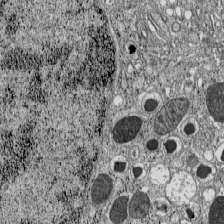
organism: C57BL Mouse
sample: Pancreatic islet